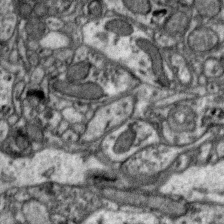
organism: Zebra finch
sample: Brain